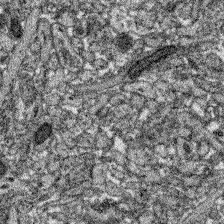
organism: Zebrafish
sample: Larval olfactory bulb